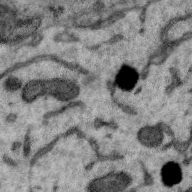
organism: Zebra finch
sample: Brain